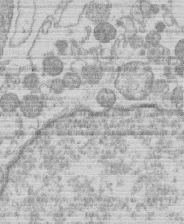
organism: Human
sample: Macrophage cells